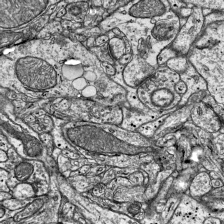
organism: Mouse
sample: Visual Cortex